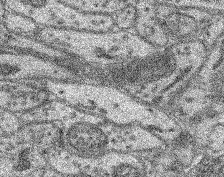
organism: Mouse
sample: Retina